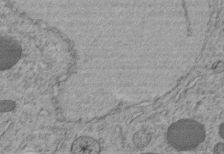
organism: C. elegans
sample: C. elegans embryo early stage